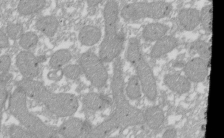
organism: Xenopus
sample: Cilia; centrioles in frog embryo cells